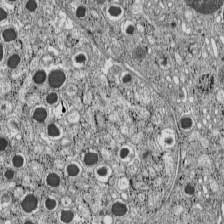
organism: C57BL Mouse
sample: Pancreatic islet